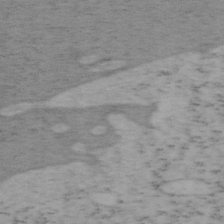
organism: Mouse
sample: OT-I killer T cells with ID8 ovarian cancer cells